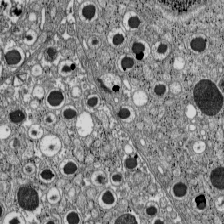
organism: C57BL Mouse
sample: Pancreatic islet